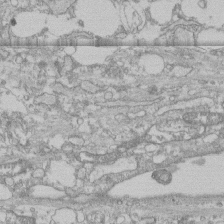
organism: Human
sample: CRL-1474